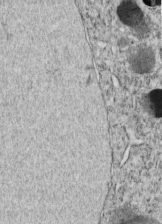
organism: C. elegans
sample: C. elegans embryo early stage